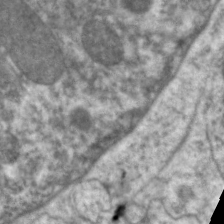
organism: C. elegans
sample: Pharynx